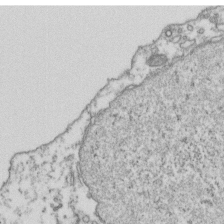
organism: Human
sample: Activated Jurkat CD4+ T cells